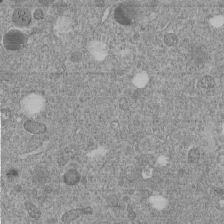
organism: C. elegans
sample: C. elegans embryo early stage